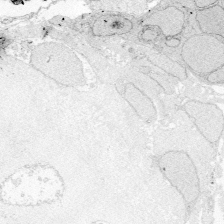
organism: Zebrafish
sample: Whole-Brain